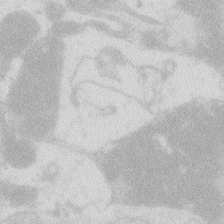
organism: Zebrafish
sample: Macrophage